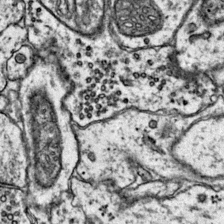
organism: Mouse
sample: Primary visual cortex